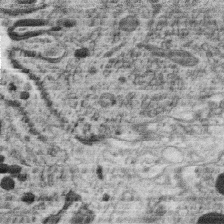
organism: C. elegans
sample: C. elegans oocyte; sperm cells